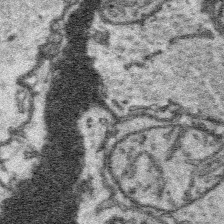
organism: Platynereis dumerilii